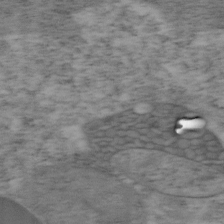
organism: Mouse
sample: OT-I killer T cells with ID8 ovarian cancer cells